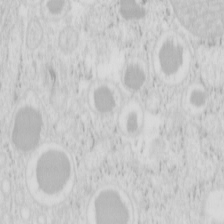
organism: Mouse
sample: Pancreas